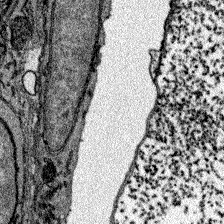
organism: Zebrafish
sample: Larval olfactory bulb